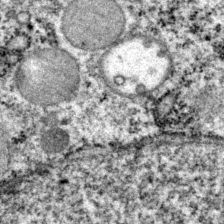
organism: P. pacificus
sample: Pharynx